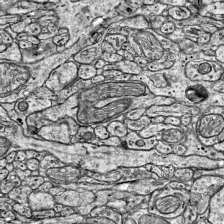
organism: Mouse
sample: Visual Cortex